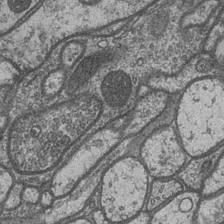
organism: Drosophila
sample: Optic medulla